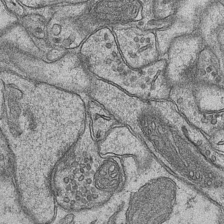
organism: Mouse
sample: CA1 Hippocampus